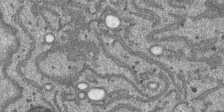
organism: Human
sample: Lung epithelial cells infected with SARS-CoV-2